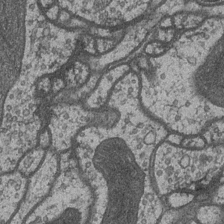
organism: Drosophila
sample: Optic medulla